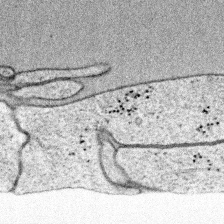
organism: Human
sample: HeLa cells